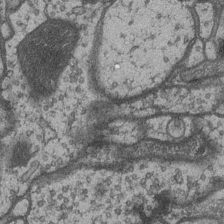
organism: Drosophila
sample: Optic medulla